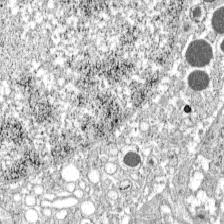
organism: C57BL Mouse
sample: Pancreatic islet